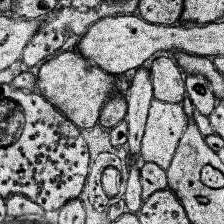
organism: Human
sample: Temporal Lobe